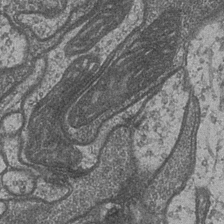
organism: Drosophila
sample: Optic medulla